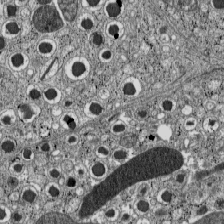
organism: C57BL Mouse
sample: Pancreatic islet